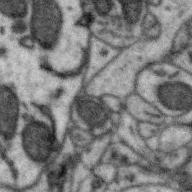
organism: Zebra finch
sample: Brain